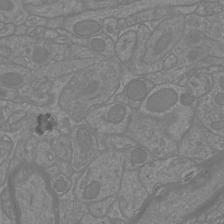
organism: Mouse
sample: Cortical neurons